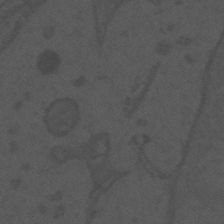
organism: Mouse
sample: Suprachiasmatic nucleus